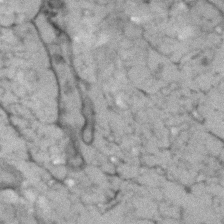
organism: Human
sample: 1205lu cells